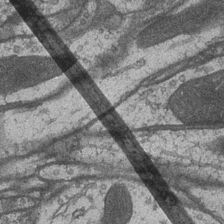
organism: Drosophila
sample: Optic medulla